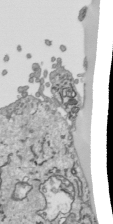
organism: Human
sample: Mitochondria in HCT116 cells